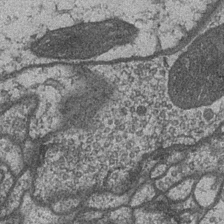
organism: Drosophila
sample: Optic medulla